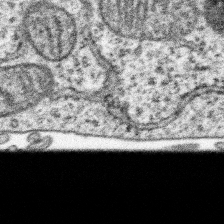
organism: Human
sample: HeLa cells